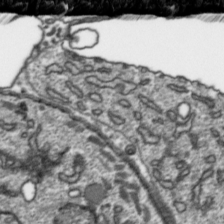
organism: Toxoplasma gondii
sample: Parasites in a vacuole inside a host cell